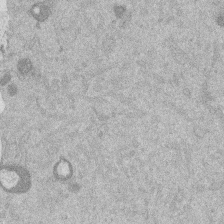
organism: Mouse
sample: Dividing mouse embryo 1 cell stage